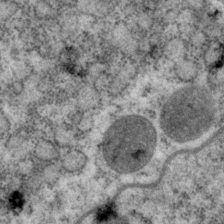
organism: P. pacificus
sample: Pharynx